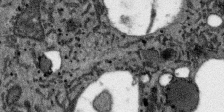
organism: Human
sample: Lung epithelial cells, uninfected (mock) control